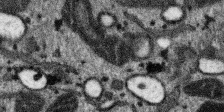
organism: Human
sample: Lung epithelial cells infected with SARS-CoV-2